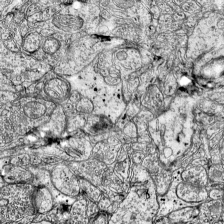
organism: Mouse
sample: Visual Cortex